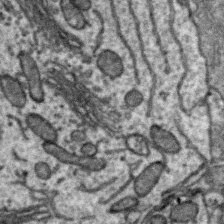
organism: Zebra finch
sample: Brain